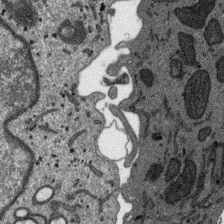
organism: Human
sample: Lung epithelial cells infected with SARS-CoV-2